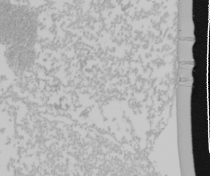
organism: Mouse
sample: Cancer cell death in ED-1 cells